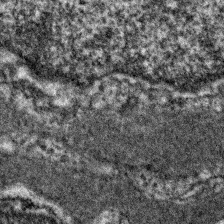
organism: Zebrafish